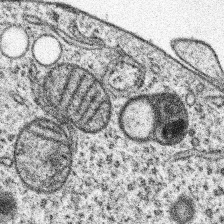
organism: Human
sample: HeLa cells